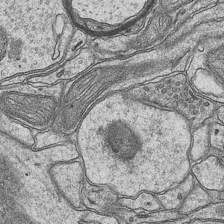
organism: Mouse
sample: CA1 Hippocampus